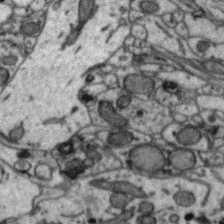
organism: Zebra finch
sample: Brain